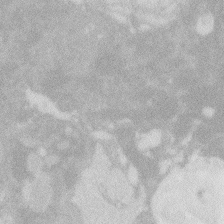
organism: Zebrafish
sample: Macrophage